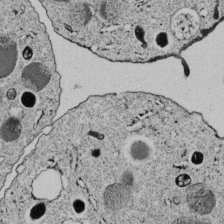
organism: C. elegans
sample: C. elegans embryo early stage